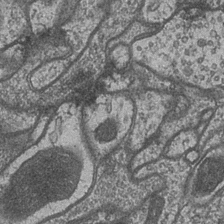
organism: Drosophila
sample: Optic medulla